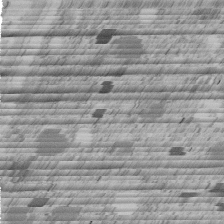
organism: C. elegans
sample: C. elegans embryo early stage